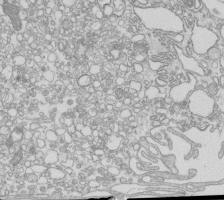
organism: Mouse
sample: Macrophages